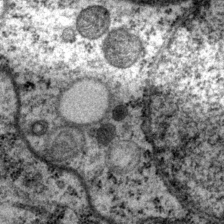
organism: P. pacificus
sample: Pharynx